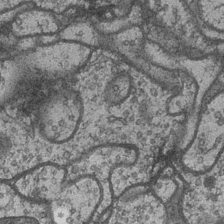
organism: Drosophila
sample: Optic medulla